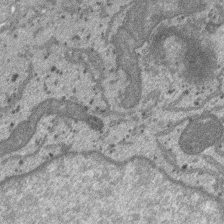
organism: Human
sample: Lung epithelial cells infected with SARS-CoV-2